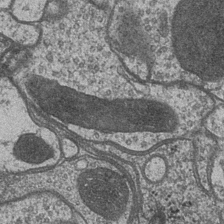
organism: Drosophila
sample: Optic medulla